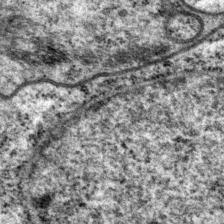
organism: P. pacificus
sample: Pharynx